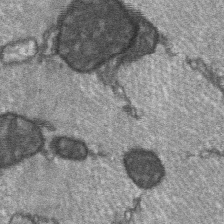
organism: C57BL Mouse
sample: Soleus